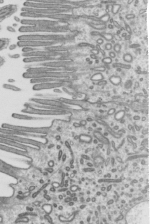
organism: Mouse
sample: Mouse epididymis efferent ductule cilia